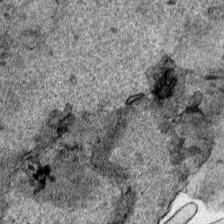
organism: Human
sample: Mitochondria in HCT116 cells